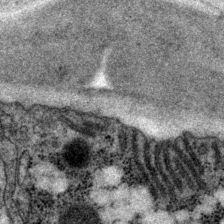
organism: P. pacificus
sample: Pharynx